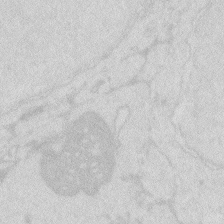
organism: Zebrafish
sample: Macrophage